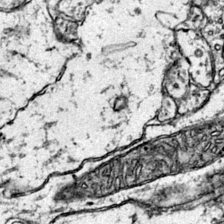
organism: Mouse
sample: Primary visual cortex